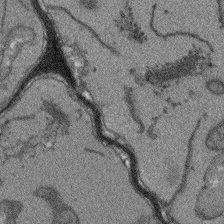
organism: Arabidopsis thaliana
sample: Root tip